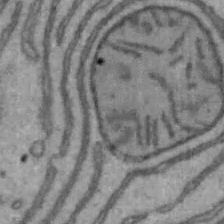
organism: Mouse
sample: Liver